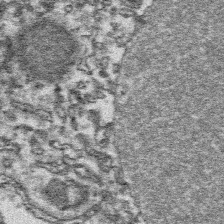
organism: Platynereis dumerilii